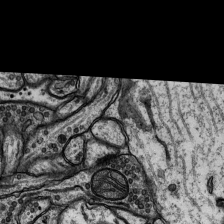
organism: Rat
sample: Hippocampus